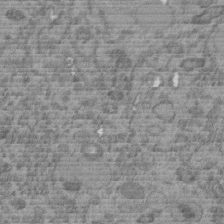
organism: C. elegans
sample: C. elegans embryo early stage